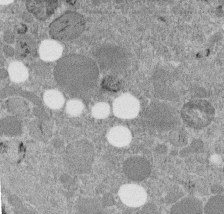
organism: C. elegans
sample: C. elegans embryo early stage